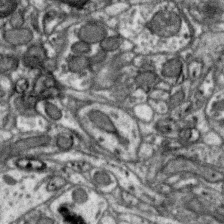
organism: Zebra finch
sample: Brain